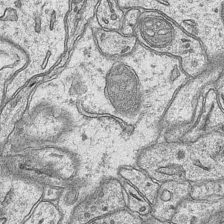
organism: Mouse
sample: CA1 Hippocampus